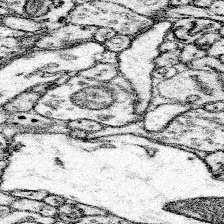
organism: Mouse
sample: Somatosensory cortex neuropil